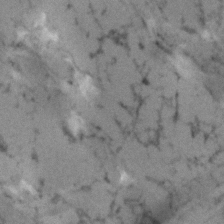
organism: Human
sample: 1205lu cells